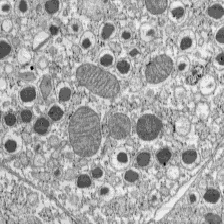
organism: C57BL Mouse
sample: Pancreatic islet